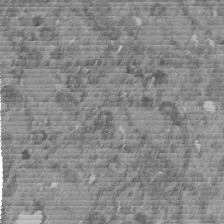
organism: C. elegans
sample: C. elegans embryo early stage